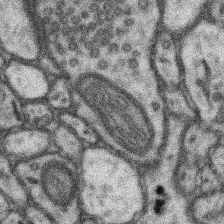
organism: Mouse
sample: Somatosensory cortex neuropil